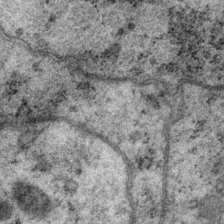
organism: P. pacificus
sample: Pharynx